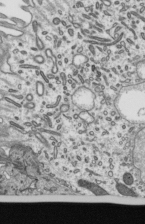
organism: Mouse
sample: Mouse epididymis efferent ductule cilia